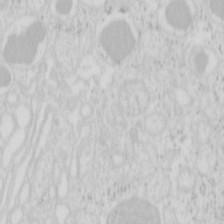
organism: Mouse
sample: Pancreas